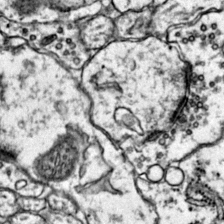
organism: Mouse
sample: Primary visual cortex